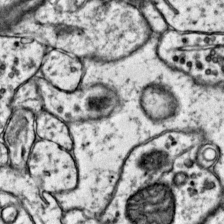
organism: Mouse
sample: Primary visual cortex